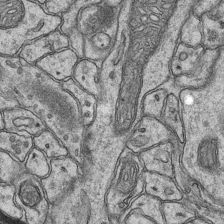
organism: Mouse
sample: CA1 Hippocampus